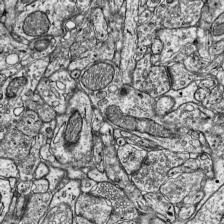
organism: Mouse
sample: Visual Cortex